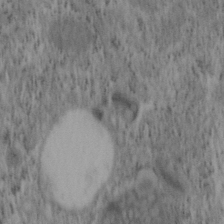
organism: Mouse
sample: OT-I killer T cells with ID8 ovarian cancer cells